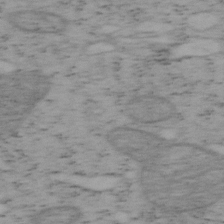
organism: Mouse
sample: OT-I killer T cells with ID8 ovarian cancer cells